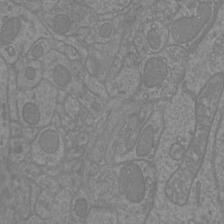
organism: Mouse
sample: Cortical neurons